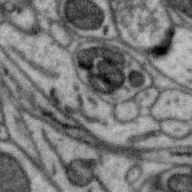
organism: Zebra finch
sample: Brain